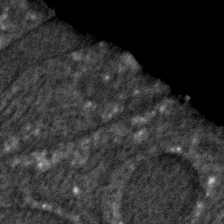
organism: C. elegans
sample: C. elegans embryo